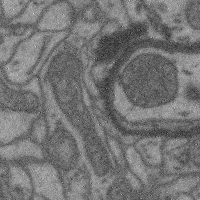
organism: Mouse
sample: Cerebral cortex